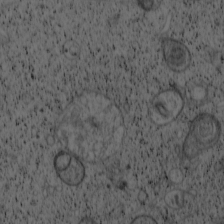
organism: African green monkey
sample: COS-7 cells